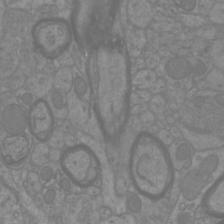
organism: Mouse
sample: Cortical neurons